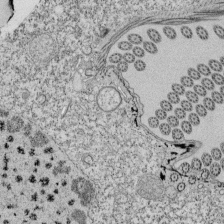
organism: Tetrahymena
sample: Cilia in tetrahymena